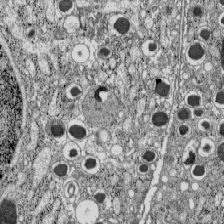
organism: C57BL Mouse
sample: Pancreatic islet